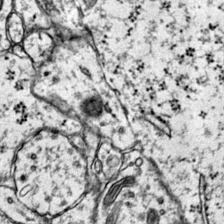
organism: Mouse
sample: Primary visual cortex